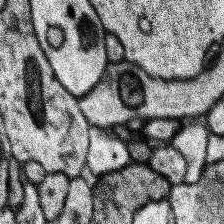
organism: Human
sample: Temporal Lobe